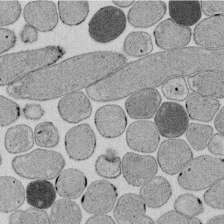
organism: E. coli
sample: Bacterial nucleoid